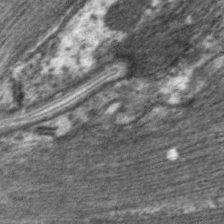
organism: C. elegans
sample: Pharynx